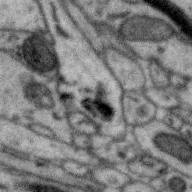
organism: Zebra finch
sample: Brain